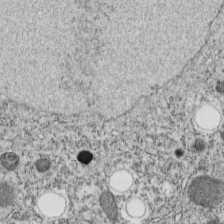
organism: C. elegans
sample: C. elegans embryo early stage